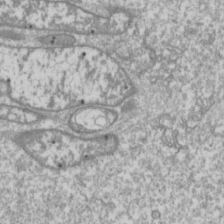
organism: Drosophila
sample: Cell division; meiosis; drosophila spermatocytes